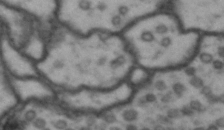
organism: Drosophila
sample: Brain